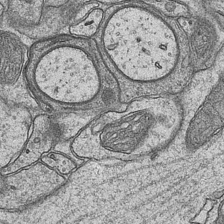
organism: Mouse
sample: CA1 Hippocampus